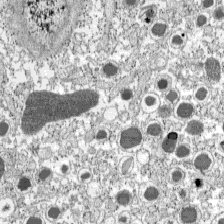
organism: C57BL Mouse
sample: Pancreatic islet